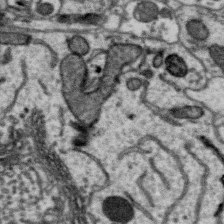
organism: Zebra finch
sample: Brain